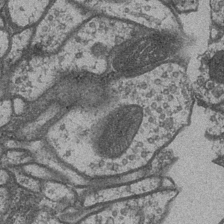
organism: Drosophila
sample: Optic medulla